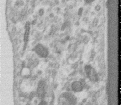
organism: Human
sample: Centriole in RPE cells